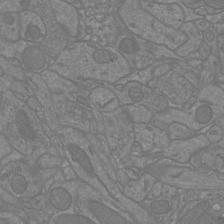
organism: Mouse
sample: Cortical neurons